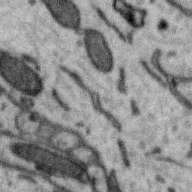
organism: Zebra finch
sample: Brain